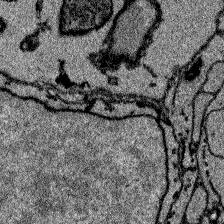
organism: Zebrafish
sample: Larval olfactory bulb